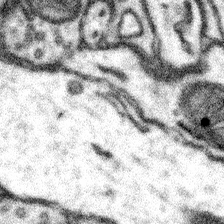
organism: Mouse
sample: Somatosensory cortex neuropil